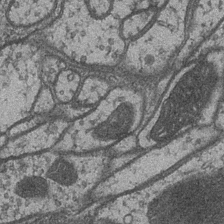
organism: Drosophila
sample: Optic medulla